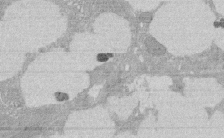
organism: Rat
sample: Salivary granule